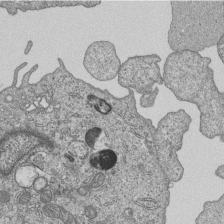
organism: Human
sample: MDA-MB-231 cells